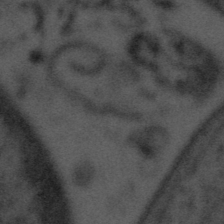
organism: Tuwongella immobilis